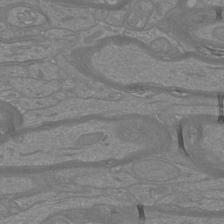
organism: Mouse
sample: Cortical neurons